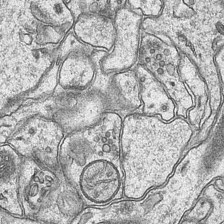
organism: Mouse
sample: CA1 Hippocampus